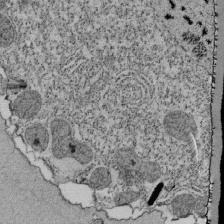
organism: Tetrahymena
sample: Cilia in tetrahymena